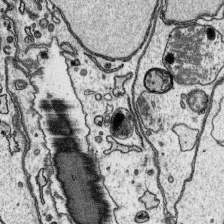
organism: Platynereis dumerilii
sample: Parapodia